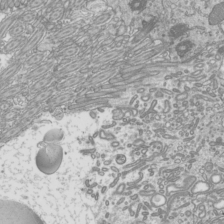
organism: Mouse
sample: Cilia; mouse epididymis